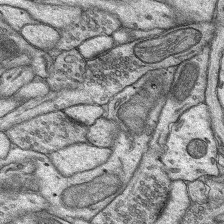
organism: Rat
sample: Hippocampus